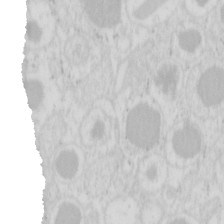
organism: Mouse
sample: Pancreas